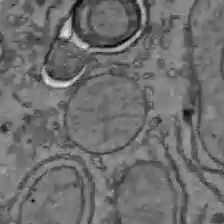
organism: C57BL Mouse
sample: Liver